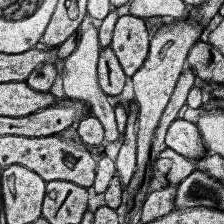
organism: Human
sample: Temporal Lobe